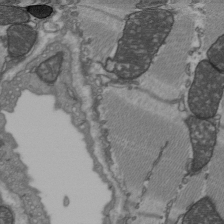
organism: C57BL Mouse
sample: Heart